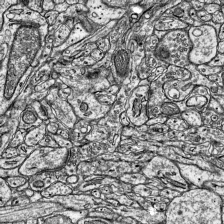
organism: Mouse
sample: Visual Cortex